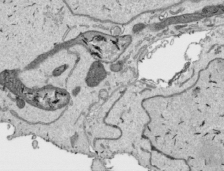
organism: Human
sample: Mitochondria in HCT116 cells